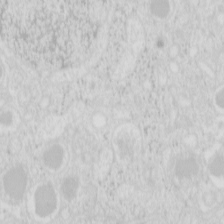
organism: Mouse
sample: Pancreas